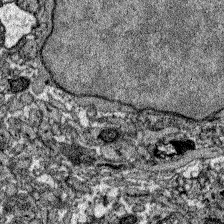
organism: Zebrafish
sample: Larval olfactory bulb